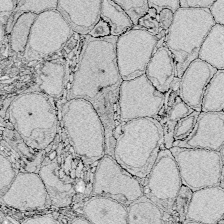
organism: Zebrafish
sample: Whole-Brain